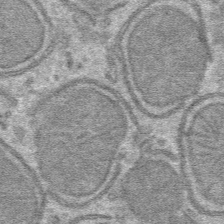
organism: Mouse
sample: Mouse hepatocytes